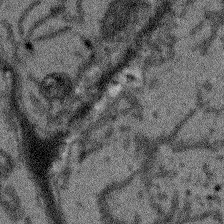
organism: Arabidopsis thaliana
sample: Root tip